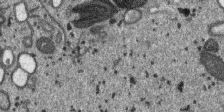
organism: Human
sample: Lung epithelial cells infected with SARS-CoV-2